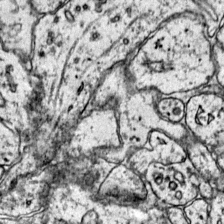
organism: Mouse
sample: Primary visual cortex